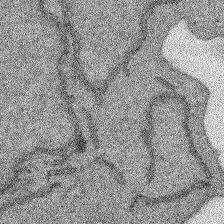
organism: Human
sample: HeLa cells